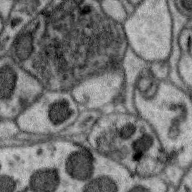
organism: Zebra finch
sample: Brain